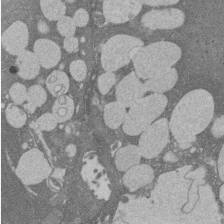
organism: Rat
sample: Salivary granule